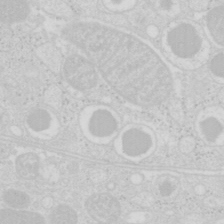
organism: Mouse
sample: Pancreas